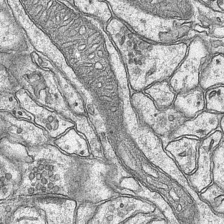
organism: Mouse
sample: CA1 Hippocampus